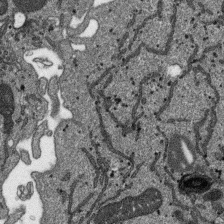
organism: Human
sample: Lung epithelial cells infected with SARS-CoV-2